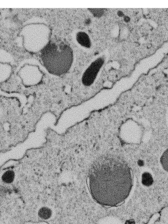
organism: C. elegans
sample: C. elegans embryo early stage